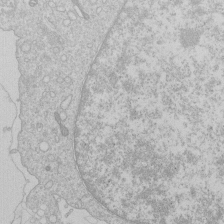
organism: Human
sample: Macrophage cells